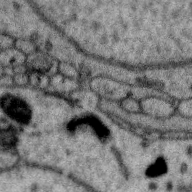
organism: Zebra finch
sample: Brain